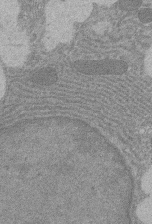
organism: Rat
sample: Salivary granule